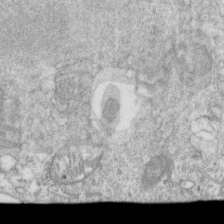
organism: Mouse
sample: Activated OT-1 CD8+ T cells